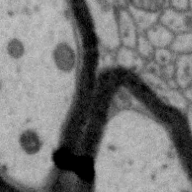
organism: Zebra finch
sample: Brain